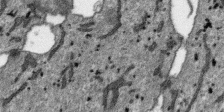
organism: Human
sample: Lung epithelial cells, uninfected (mock) control